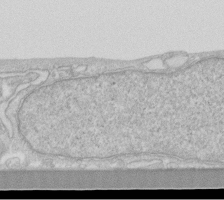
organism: Human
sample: Fibroblast cells